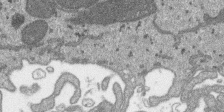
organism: Human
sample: Lung epithelial cells infected with SARS-CoV-2